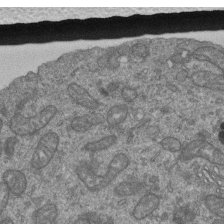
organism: Human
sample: Retinal organoid Rod and Cone cells